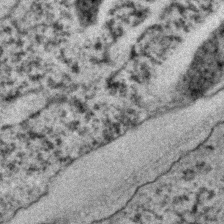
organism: C. elegans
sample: C. elegans embryo